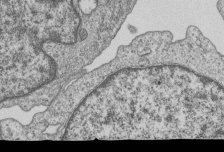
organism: Human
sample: MDA-MB-231 cells